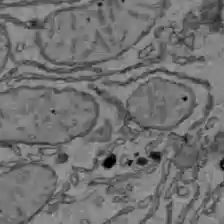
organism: C57BL Mouse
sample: Liver